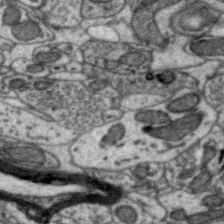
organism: Zebra finch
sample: Brain